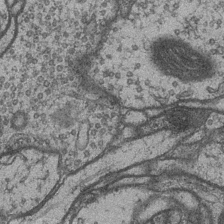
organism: Drosophila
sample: Optic medulla